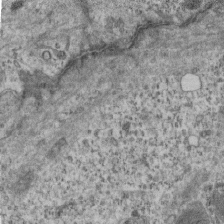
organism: Mouse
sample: Centriole in ependymal cells